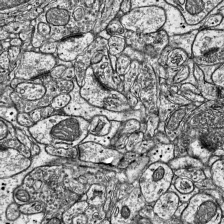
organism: Mouse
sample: Visual Cortex